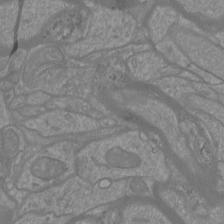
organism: Mouse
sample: Cortical neurons